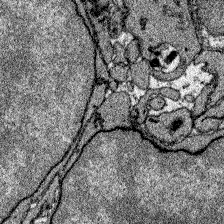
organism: Zebrafish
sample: Larval olfactory bulb